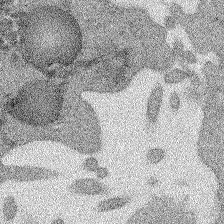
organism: Human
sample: HeLa cells